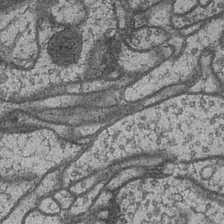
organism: Drosophila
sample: Optic medulla